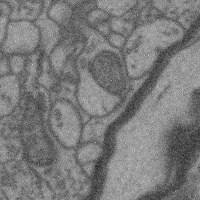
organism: Mouse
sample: Cerebral cortex